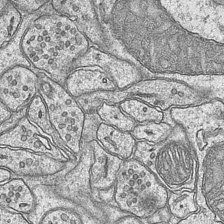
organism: Mouse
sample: CA1 Hippocampus